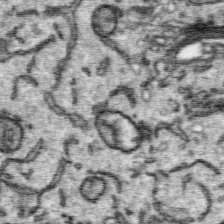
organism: Human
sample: HeLa cells